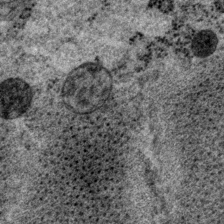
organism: P. pacificus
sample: Pharynx